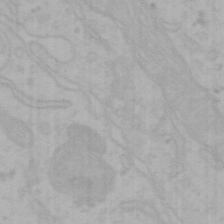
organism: Mouse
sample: Choroid plexus